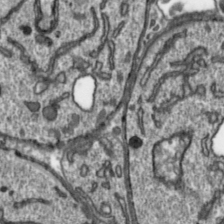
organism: Toxoplasma gondii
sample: Parasites in a vacuole inside a host cell